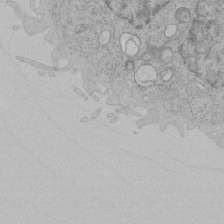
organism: Human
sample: Mitochondria in HCT116 cells